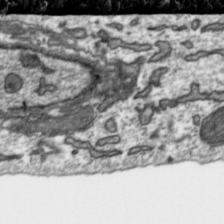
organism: Toxoplasma gondii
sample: Parasites in a vacuole inside a host cell